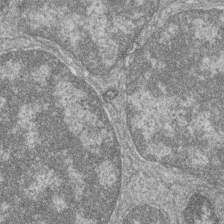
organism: Zebrafish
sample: Cilia; retinal pigment epithelium